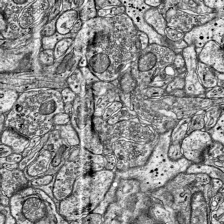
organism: Mouse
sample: Visual Cortex